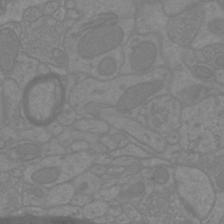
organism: Mouse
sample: Cortical neurons